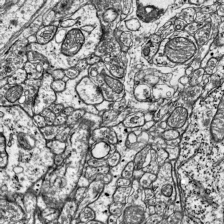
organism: Mouse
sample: Visual Cortex